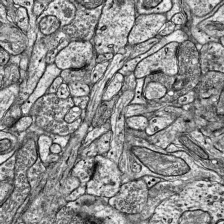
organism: Mouse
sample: Visual Cortex